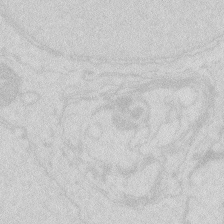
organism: Zebrafish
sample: Macrophage